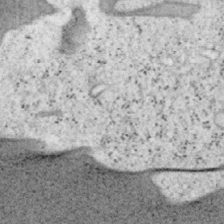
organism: Mouse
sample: OT-I killer T cells with ID8 ovarian cancer cells